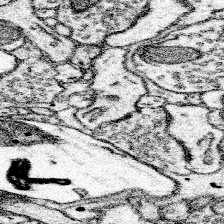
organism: Mouse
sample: Somatosensory cortex neuropil